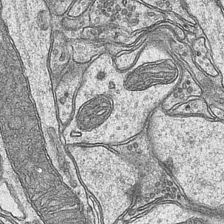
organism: Mouse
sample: CA1 Hippocampus